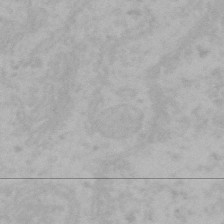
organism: Mouse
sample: Choroid plexus